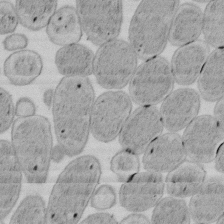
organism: E. coli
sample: Bacterial nucleoid